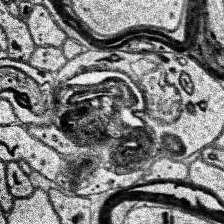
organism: Human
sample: Temporal Lobe